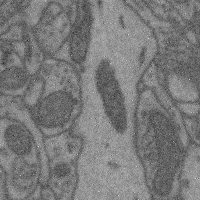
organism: Mouse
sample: Cerebral cortex